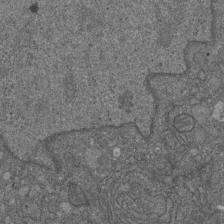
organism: Drosophila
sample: Nephrocyte